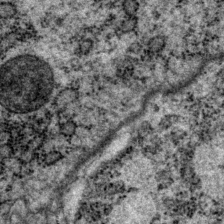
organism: P. pacificus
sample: Pharynx